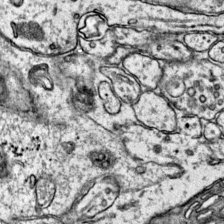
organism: Mouse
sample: Primary visual cortex